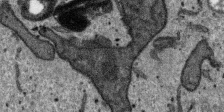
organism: Human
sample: Lung epithelial cells, uninfected (mock) control